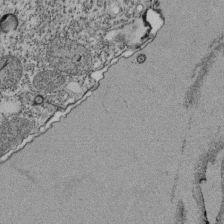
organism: Tetrahymena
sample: Cilia in tetrahymena